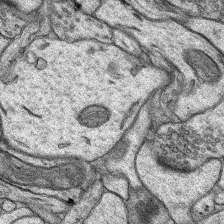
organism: Rat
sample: Hippocampus